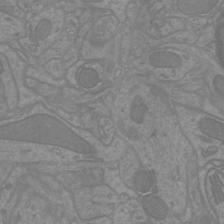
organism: Mouse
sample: Cortical neurons